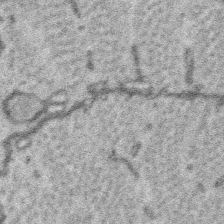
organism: Platynereis dumerilii